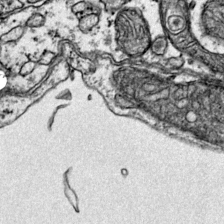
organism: Mouse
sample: Primary visual cortex